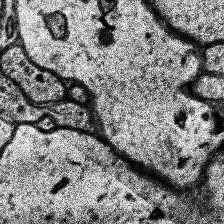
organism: Human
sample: Temporal Lobe